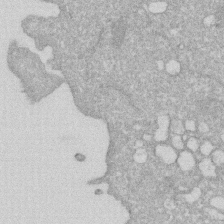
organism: Human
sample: HIV infected U937 cells